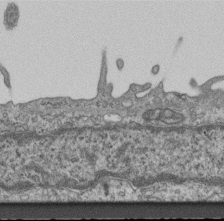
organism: Mouse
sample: Centriole in ependymal cells